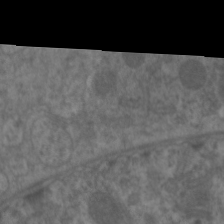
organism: C. elegans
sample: Pharynx